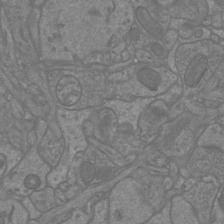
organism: Mouse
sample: Cortical neurons